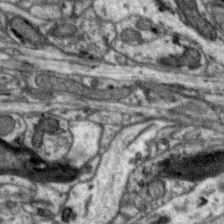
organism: Zebra finch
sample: Brain